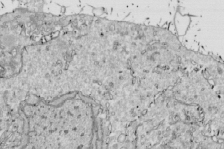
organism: Drosophila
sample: Cell division; meiosis; drosophila spermatocytes